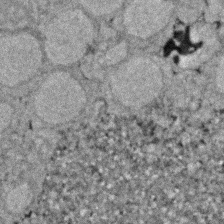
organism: Zebrafish